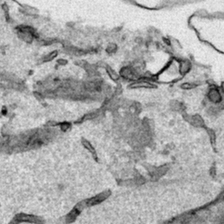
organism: Human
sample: Mitochondria in HCT116 cells